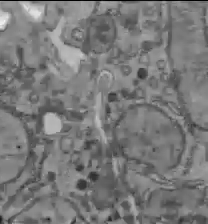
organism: C57BL Mouse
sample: Liver